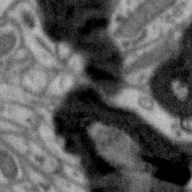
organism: Zebra finch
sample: Brain